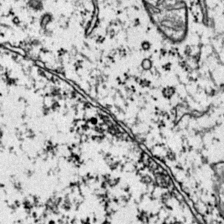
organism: Mouse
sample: Primary visual cortex